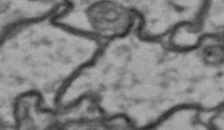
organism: Drosophila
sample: Brain